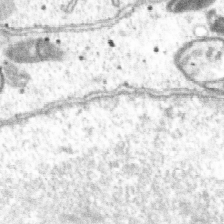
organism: Human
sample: HeLa cells